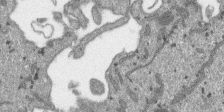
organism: Human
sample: Lung epithelial cells infected with SARS-CoV-2